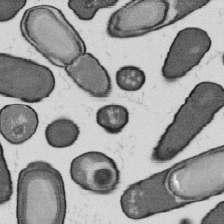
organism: B. subtilis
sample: Bacterial spore